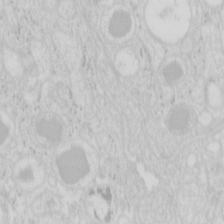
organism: Mouse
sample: Pancreas